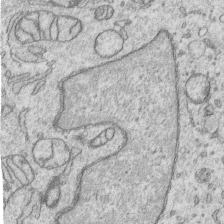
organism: Human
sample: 1205lu cells